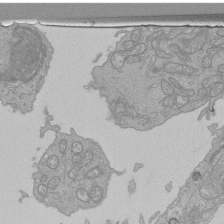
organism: Human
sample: Retinal organoid Rod and Cone cells